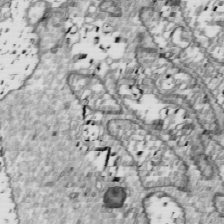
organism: Drosophila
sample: Cell division; meiosis; drosophila spermatocytes